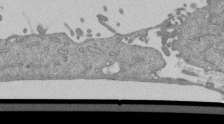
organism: Mouse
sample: ED-1 cell nuclei; centrioles